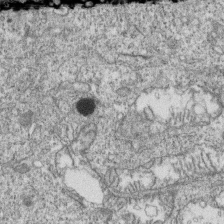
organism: Human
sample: HeLa cell HIV synapse